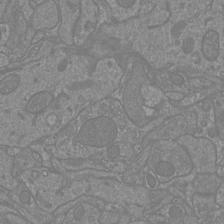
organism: Mouse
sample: Cortical neurons